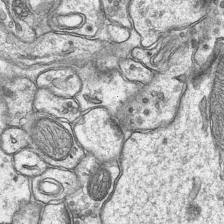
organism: Mouse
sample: CA1 Hippocampus